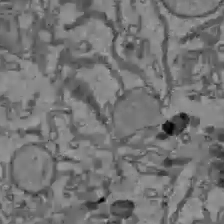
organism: C57BL Mouse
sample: Liver